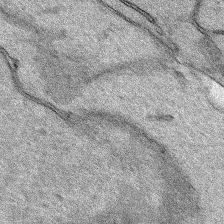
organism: Human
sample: Mitochondria in HCT116 cells